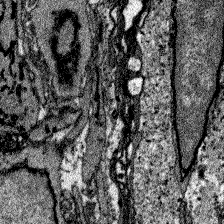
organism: Zebrafish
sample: Larval olfactory bulb